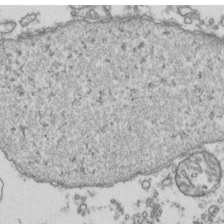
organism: Human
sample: Activated Jurkat CD4+ T cells